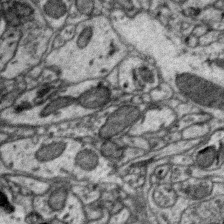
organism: Zebra finch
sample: Brain